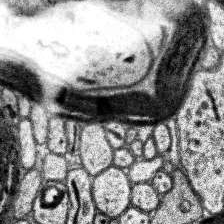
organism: Human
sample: Temporal Lobe